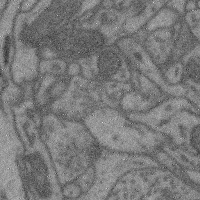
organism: Mouse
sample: Cerebral cortex